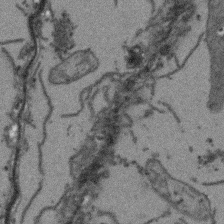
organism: Arabidopsis thaliana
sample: Root tip